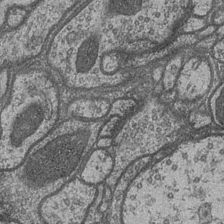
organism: Drosophila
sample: Optic medulla